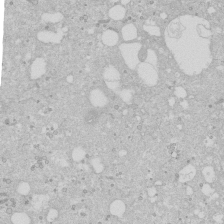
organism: Human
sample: Caco-2 cells